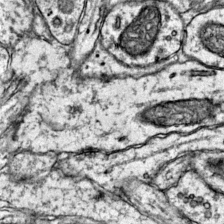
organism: Mouse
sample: Primary visual cortex